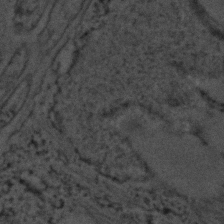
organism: C. elegans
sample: C. elegans embryo